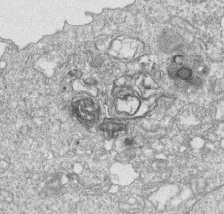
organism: Human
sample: HeLa cell HIV synapse